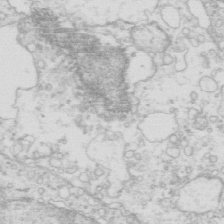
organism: Mouse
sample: Multiciliated cells